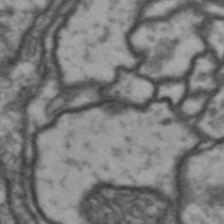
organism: Drosophila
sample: Brain